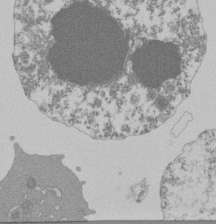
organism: Mouse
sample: Activated Pmel transgenic CD8+ T Cells